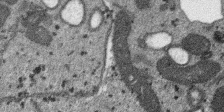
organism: Human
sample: Lung epithelial cells infected with SARS-CoV-2